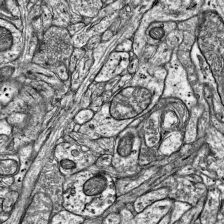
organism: Mouse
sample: Visual Cortex